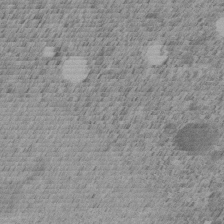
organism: C. elegans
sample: C. elegans embryo early stage